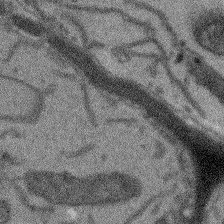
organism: Arabidopsis thaliana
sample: Root tip